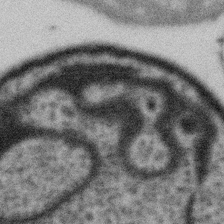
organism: Gemmata obscuriglobus